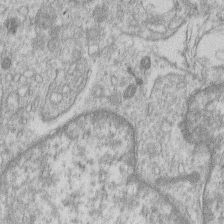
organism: Human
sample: Macrophage cells